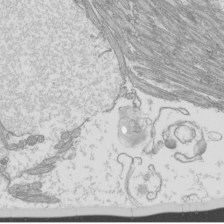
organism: Mouse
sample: Cilia; mouse epididymis